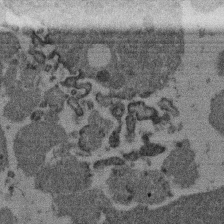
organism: Mouse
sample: Dividing mouse embryo 1 cell stage